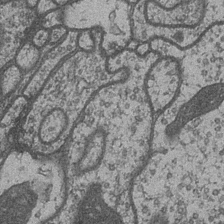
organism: Drosophila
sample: Optic medulla